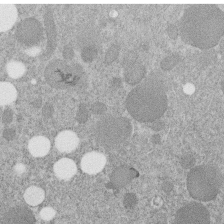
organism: C. elegans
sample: C. elegans embryo early stage